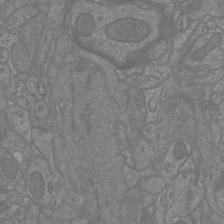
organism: Mouse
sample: Cortical neurons